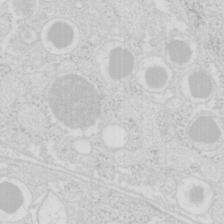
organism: Mouse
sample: Pancreas